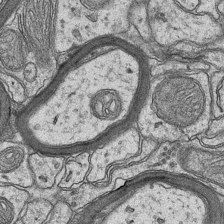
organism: Mouse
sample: CA1 Hippocampus